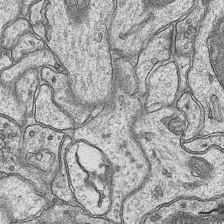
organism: Mouse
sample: CA1 Hippocampus